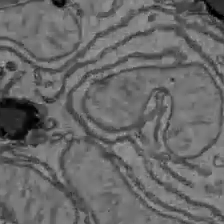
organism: C57BL Mouse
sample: Liver